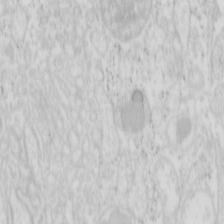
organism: Mouse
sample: Pancreas